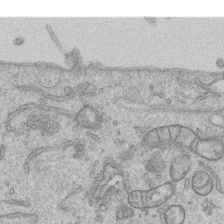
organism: Human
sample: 1205lu cells